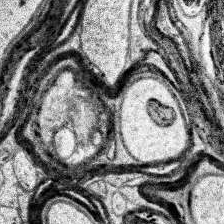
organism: Human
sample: Temporal Lobe